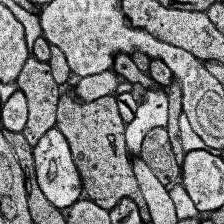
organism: Human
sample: Temporal Lobe